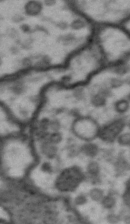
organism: Drosophila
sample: Brain